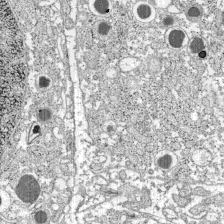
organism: C57BL Mouse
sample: Pancreatic islet